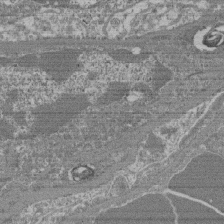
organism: Mouse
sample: Glomerulus